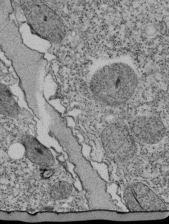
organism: Tetrahymena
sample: Cilia in tetrahymena